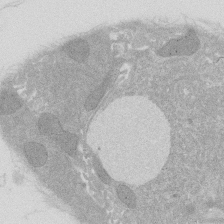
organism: Rat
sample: Salivary granule